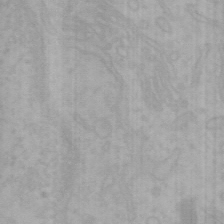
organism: Mouse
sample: Choroid plexus